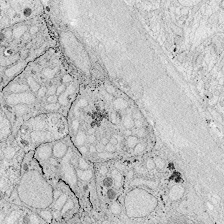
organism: Zebrafish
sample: Whole-Brain